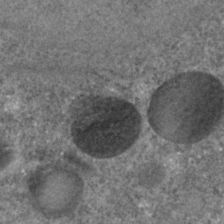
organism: C. elegans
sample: C. elegans embryo